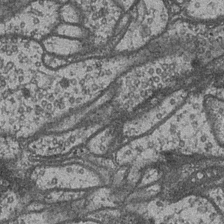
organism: Drosophila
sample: Optic medulla